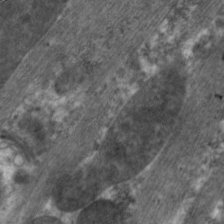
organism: C. elegans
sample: Pharynx